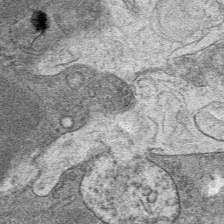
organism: Mouse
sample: Mouse hepatocytes